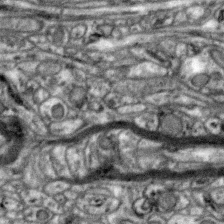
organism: Zebra finch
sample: Brain